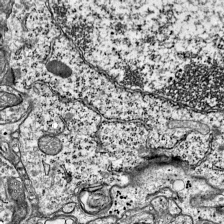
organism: Mouse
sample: Visual Cortex